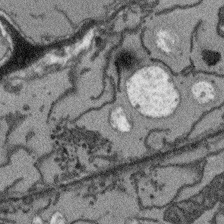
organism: Arabidopsis thaliana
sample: Root tip